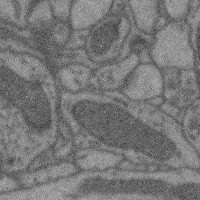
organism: Mouse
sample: Cerebral cortex